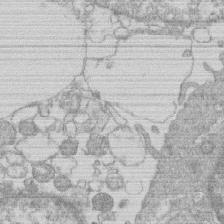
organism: Human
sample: Macrophage cells